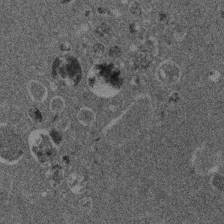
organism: Mouse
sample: Dividing mouse embryo 1 cell stage